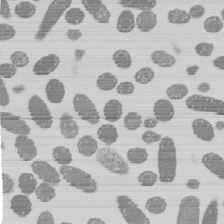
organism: E. coli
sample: Bacterial nucleoid